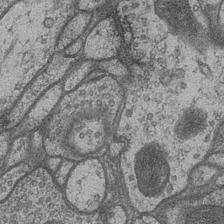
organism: Drosophila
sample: Optic medulla